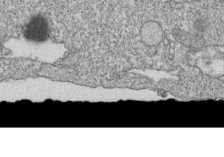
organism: Human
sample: HeLa cell HIV synapse